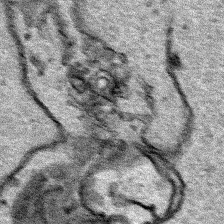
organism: Human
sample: Mitochondria in HCT116 cells